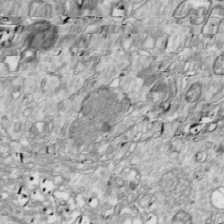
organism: Drosophila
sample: Cell division; meiosis; drosophila spermatocytes